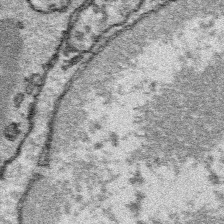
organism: Platynereis dumerilii